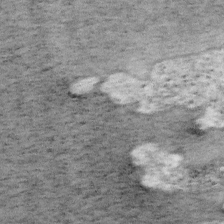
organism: Mouse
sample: OT-I killer T cells with ID8 ovarian cancer cells